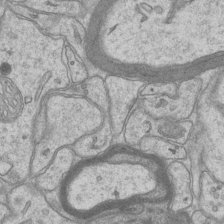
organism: Mouse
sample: CA1 Hippocampus